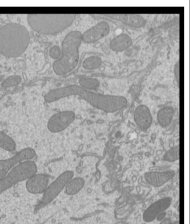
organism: Mouse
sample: Cilia; mouse epididymis